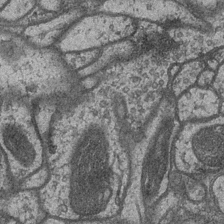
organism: Drosophila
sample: Optic medulla